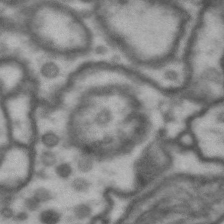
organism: Drosophila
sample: Brain